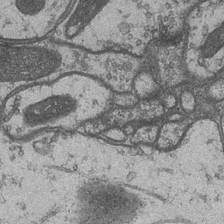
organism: Drosophila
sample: Optic medulla